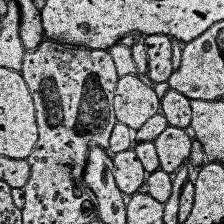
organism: Human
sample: Temporal Lobe